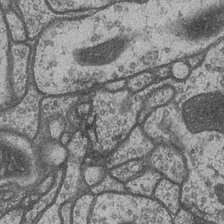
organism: Drosophila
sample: Optic medulla